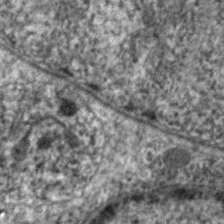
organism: C. elegans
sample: Pharynx